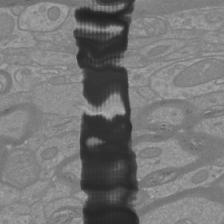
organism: Mouse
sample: Cortical neurons